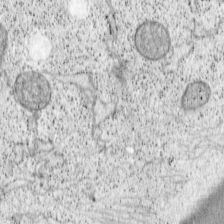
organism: African green monkey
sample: COS-7 cells